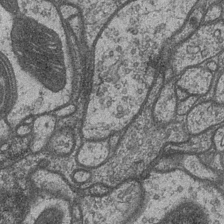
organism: Drosophila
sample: Optic medulla